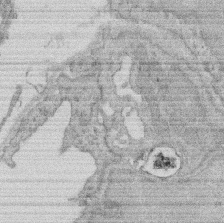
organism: Rat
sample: Salivary granule